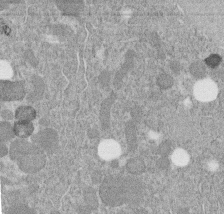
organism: C. elegans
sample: C. elegans embryo early stage